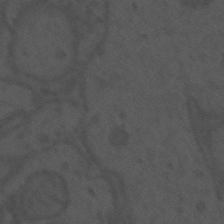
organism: Mouse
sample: Suprachiasmatic nucleus